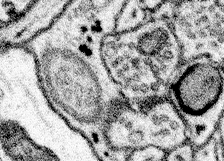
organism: Mouse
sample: Somatosensory cortex neuropil